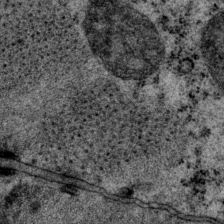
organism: P. pacificus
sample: Pharynx